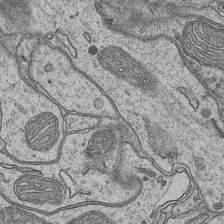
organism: Mouse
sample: CA1 Hippocampus